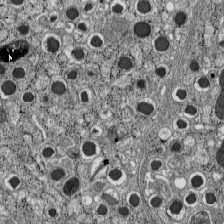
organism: C57BL Mouse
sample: Pancreatic islet